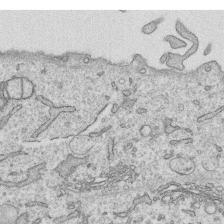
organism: Human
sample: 1205lu cells